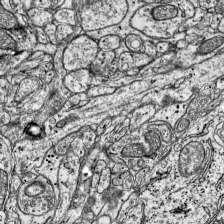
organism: Mouse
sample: Visual Cortex